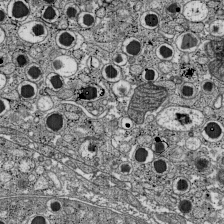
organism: C57BL Mouse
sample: Pancreatic islet